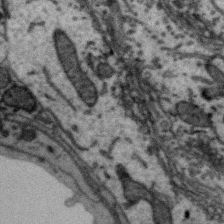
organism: Zebra finch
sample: Brain